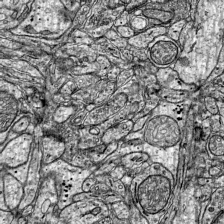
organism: Mouse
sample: Visual Cortex